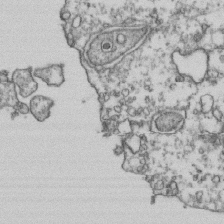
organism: Human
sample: Activated Jurkat CD4+ T cells